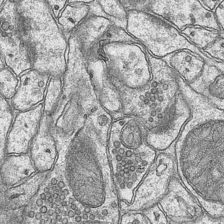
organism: Mouse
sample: CA1 Hippocampus